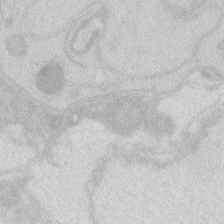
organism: Zebrafish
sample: Macrophage